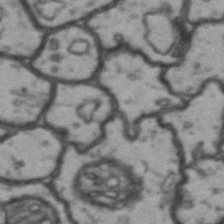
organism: Drosophila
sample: Brain